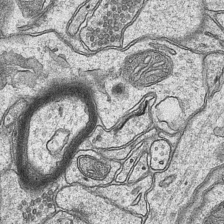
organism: Mouse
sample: CA1 Hippocampus